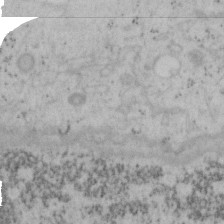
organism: Human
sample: HeLa cells